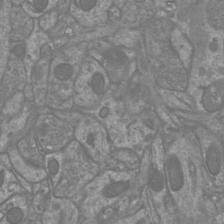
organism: Mouse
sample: Cortical neurons